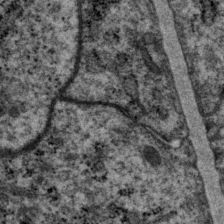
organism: P. pacificus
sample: Pharynx